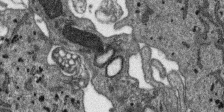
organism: Human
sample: Lung epithelial cells infected with SARS-CoV-2